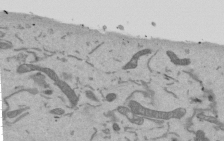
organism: Mouse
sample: ED-1 cell nuclei; centrioles